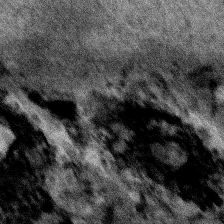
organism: Human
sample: Mitochondria in HCT116 cells